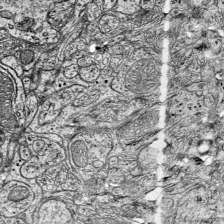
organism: Mouse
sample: Visual Cortex